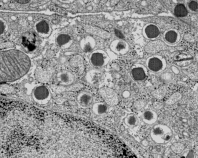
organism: C57BL Mouse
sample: Pancreatic islet